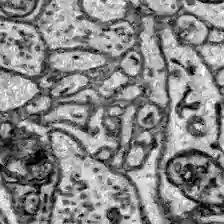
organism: Zebrafish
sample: Brain